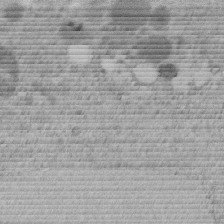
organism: C. elegans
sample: C. elegans embryo early stage